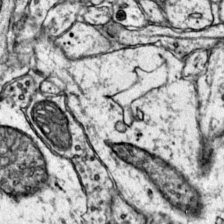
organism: Mouse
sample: Primary visual cortex